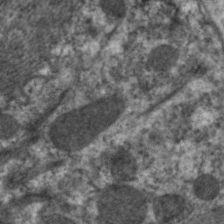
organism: C. elegans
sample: Pharynx